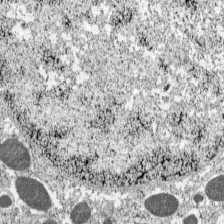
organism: C57BL Mouse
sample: Pancreatic islet